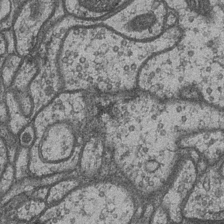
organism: Drosophila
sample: Optic medulla